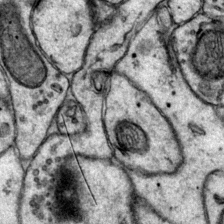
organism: Mouse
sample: Primary visual cortex